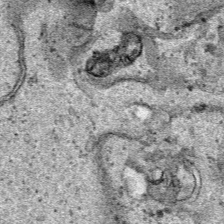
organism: Human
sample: Mitochondria in HCT116 cells